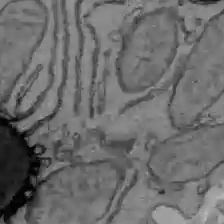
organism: C57BL Mouse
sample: Liver